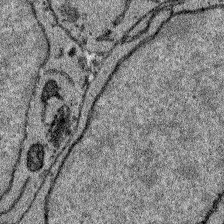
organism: Zebrafish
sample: Larval olfactory bulb